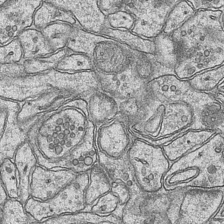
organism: Mouse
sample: CA1 Hippocampus